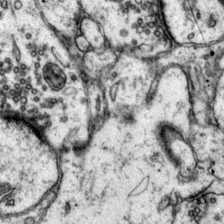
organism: Mouse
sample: Primary visual cortex